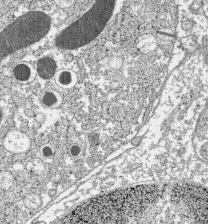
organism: C57BL Mouse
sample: Pancreatic islet